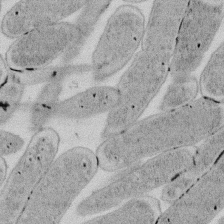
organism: E. coli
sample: Bacterial nucleoid